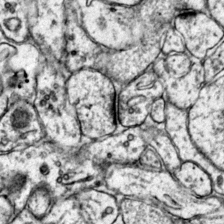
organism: Mouse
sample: Primary visual cortex